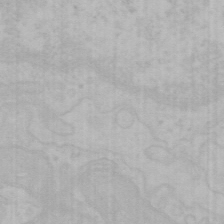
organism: Mouse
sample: Choroid plexus